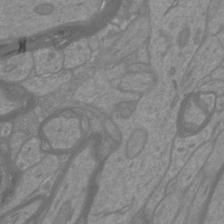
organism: Mouse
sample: Cortical neurons